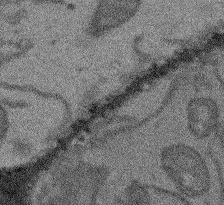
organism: Arabidopsis thaliana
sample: Root tip